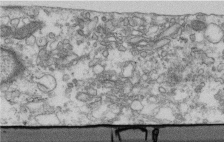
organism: Human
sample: Centriole in fibroblast cells